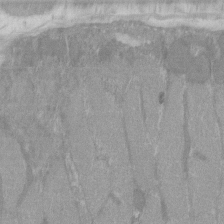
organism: C57BL Mouse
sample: Tibialis anterior muscle cell